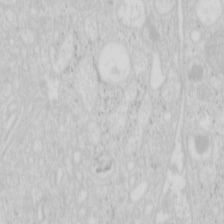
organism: Mouse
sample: Pancreas